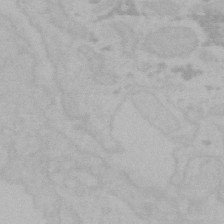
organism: Mouse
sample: Choroid plexus